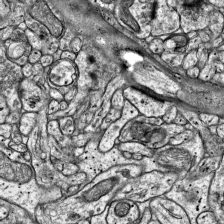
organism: Mouse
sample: Visual Cortex